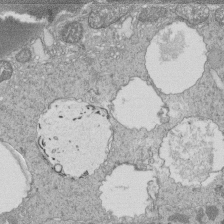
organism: Tetrahymena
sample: Cilia in tetrahymena